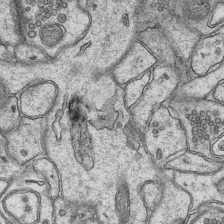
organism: Mouse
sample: CA1 Hippocampus